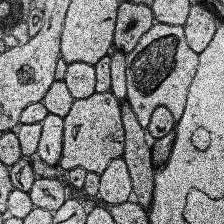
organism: Human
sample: Temporal Lobe